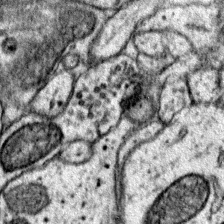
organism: Mouse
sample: Primary visual cortex